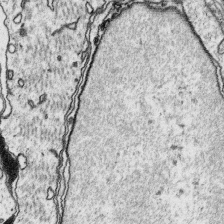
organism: Platynereis dumerilii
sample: Parapodia